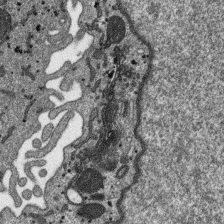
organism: Human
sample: Lung epithelial cells infected with SARS-CoV-2